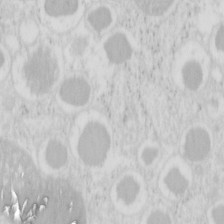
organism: Mouse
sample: Pancreas